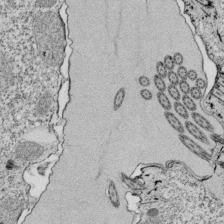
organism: Tetrahymena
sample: Cilia in tetrahymena